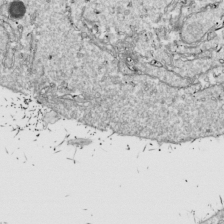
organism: Drosophila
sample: Cell division; meiosis; drosophila spermatocytes